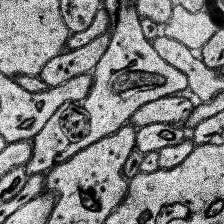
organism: Human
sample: Temporal Lobe